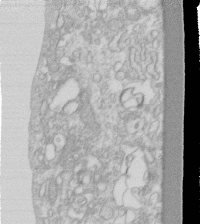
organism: Human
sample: Fibroblast cells